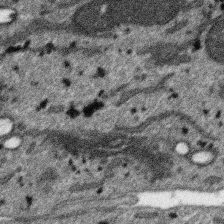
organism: Human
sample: Lung epithelial cells infected with SARS-CoV-2